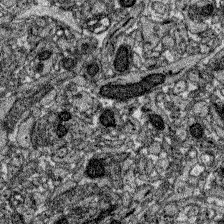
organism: Zebrafish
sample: Larval olfactory bulb